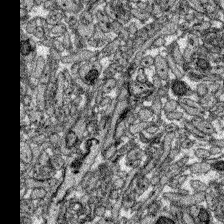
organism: Zebrafish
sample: Larval olfactory bulb